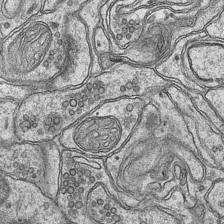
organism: Mouse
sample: CA1 Hippocampus